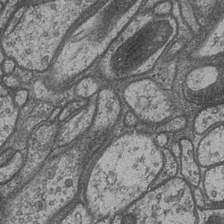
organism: Drosophila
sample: Optic medulla